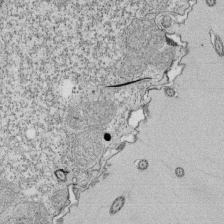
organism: Tetrahymena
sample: Cilia in tetrahymena